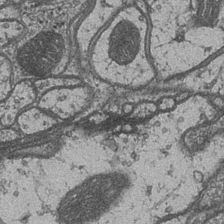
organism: Drosophila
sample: Optic medulla